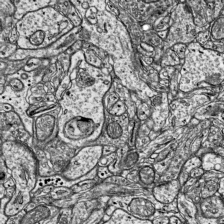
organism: Mouse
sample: Visual Cortex